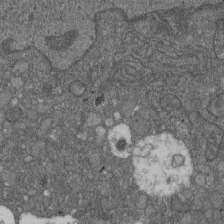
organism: Drosophila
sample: Nephrocyte